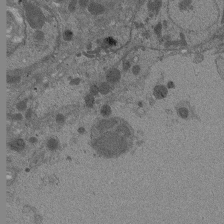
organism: Drosophila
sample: Antenna